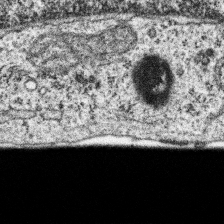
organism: Human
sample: HeLa cells